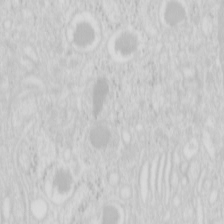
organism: Mouse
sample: Pancreas